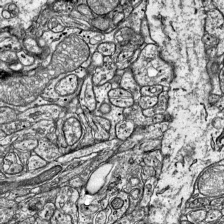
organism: Mouse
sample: Visual Cortex